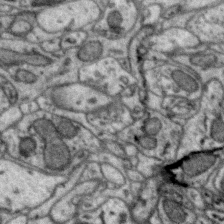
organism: Zebra finch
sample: Brain